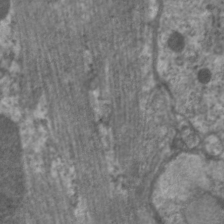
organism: C. elegans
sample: Pharynx